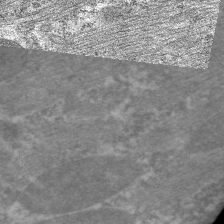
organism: C. elegans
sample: Pharynx